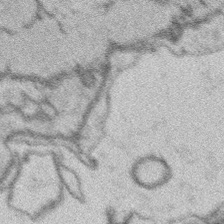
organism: Platynereis dumerilii